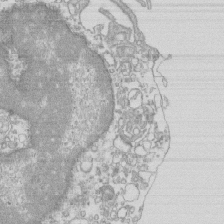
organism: Mouse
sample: Macrophages